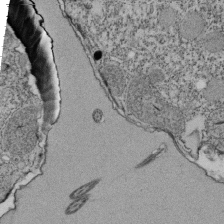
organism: Tetrahymena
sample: Cilia in tetrahymena